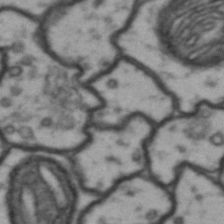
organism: Drosophila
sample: Brain